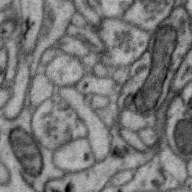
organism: Zebra finch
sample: Brain